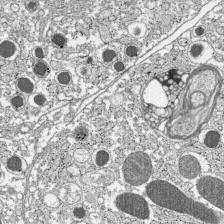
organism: C57BL Mouse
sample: Pancreatic islet